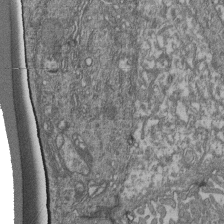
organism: Human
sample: Retinal organoid Rod and Cone cells